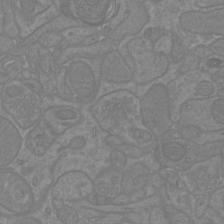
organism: Mouse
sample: Cortical neurons